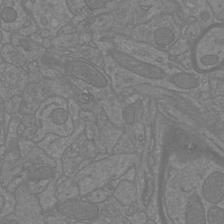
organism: Mouse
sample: Cortical neurons